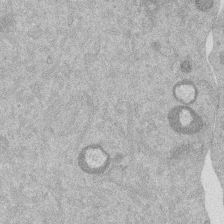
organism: Mouse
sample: Dividing mouse embryo 1 cell stage